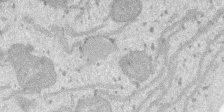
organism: Human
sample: Lung epithelial cells infected with SARS-CoV-2